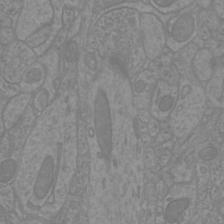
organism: Mouse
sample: Cortical neurons